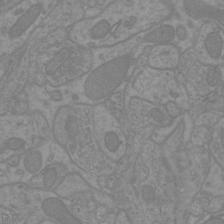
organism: Mouse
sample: Cortical neurons